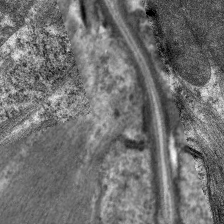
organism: C. elegans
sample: Pharynx